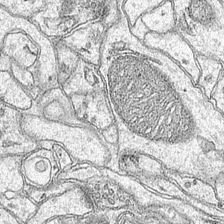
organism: Mouse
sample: CA1 Hippocampus